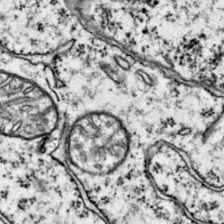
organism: Mouse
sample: Primary visual cortex